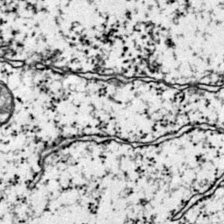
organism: Mouse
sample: Primary visual cortex